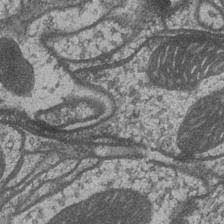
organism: Drosophila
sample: Optic medulla